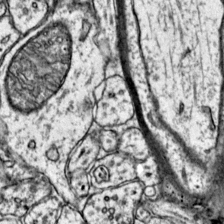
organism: Mouse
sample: Primary visual cortex